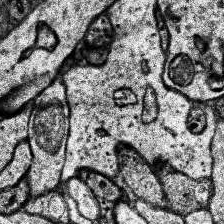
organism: Human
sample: Temporal Lobe